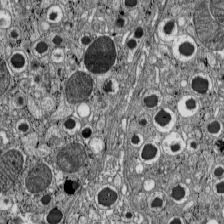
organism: C57BL Mouse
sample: Pancreatic islet